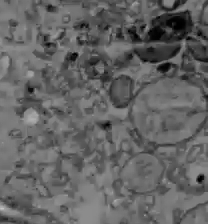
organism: C57BL Mouse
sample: Liver